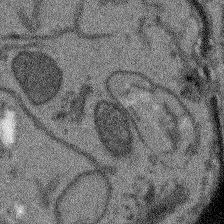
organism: Arabidopsis thaliana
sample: Root tip